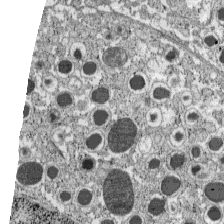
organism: C57BL Mouse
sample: Pancreatic islet